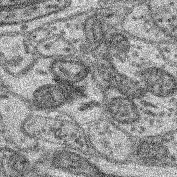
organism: Mouse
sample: Retina